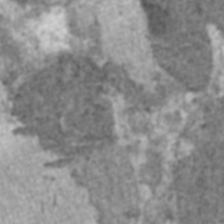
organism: C57BL Mouse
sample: Heart